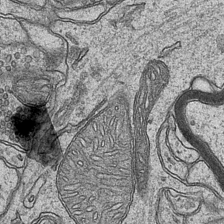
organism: Mouse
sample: CA1 Hippocampus